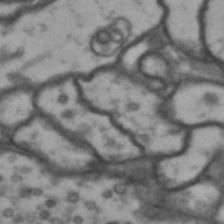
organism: Drosophila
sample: Brain